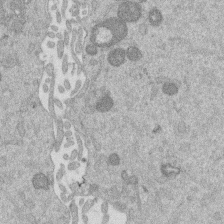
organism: Mouse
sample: Dividing mouse embryo 1 cell stage